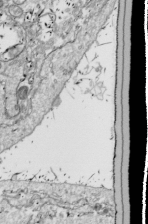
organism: Drosophila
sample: Cell division; meiosis; drosophila spermatocytes